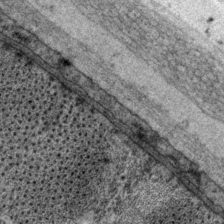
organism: P. pacificus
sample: Pharynx